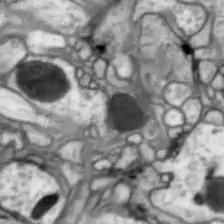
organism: Drosophila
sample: Optic lobe